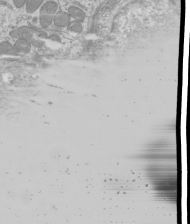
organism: Mouse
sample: Cilia; mouse epididymis